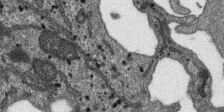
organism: Human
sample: Lung epithelial cells infected with SARS-CoV-2